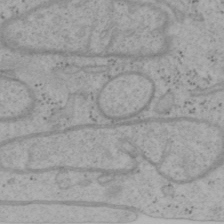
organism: Human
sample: HeLa cells